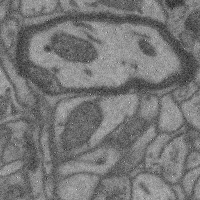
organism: Mouse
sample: Cerebral cortex